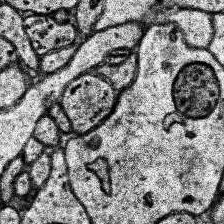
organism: Human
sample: Temporal Lobe